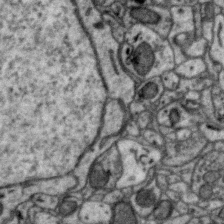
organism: Zebra finch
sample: Brain